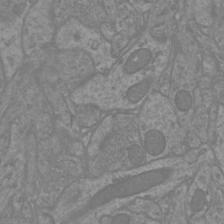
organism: Mouse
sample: Cortical neurons